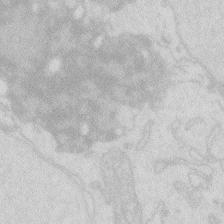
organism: Zebrafish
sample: Macrophage